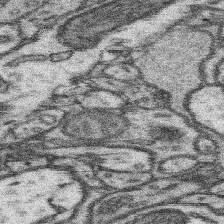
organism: Mouse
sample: Somatosensory cortex neuropil